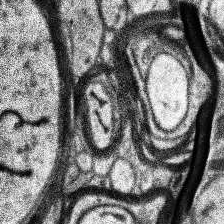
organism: Human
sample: Temporal Lobe